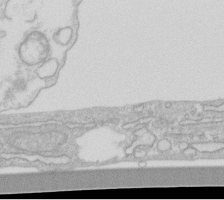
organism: Human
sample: Fibroblast cells